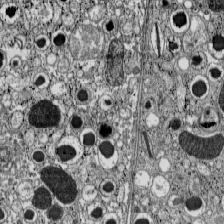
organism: C57BL Mouse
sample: Pancreatic islet